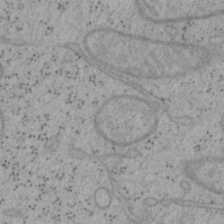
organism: Human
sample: HeLa cells